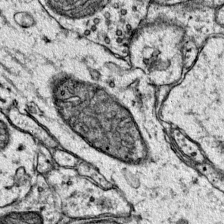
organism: Mouse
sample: Primary visual cortex